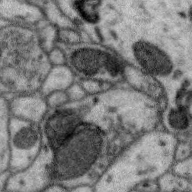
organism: Zebra finch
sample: Brain